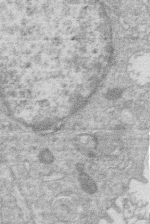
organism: Human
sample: Macrophage cells